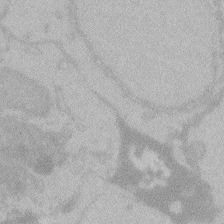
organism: Zebrafish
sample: Macrophage infected with Toxoplasma gondii